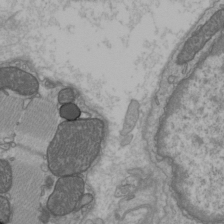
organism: C57BL Mouse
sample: Heart